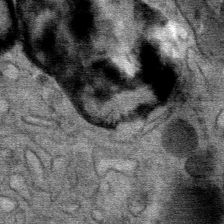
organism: Mouse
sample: Mouse Salivary gland